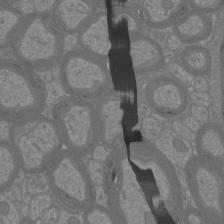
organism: Mouse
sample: Cortical neurons